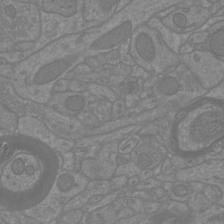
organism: Mouse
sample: Cortical neurons